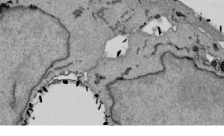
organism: Mouse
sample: ED-1 cell nuclei; centrioles